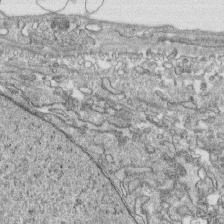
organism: Human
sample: CRL-1474